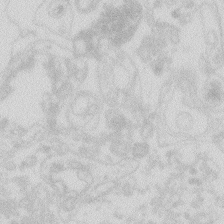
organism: Zebrafish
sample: Macrophage